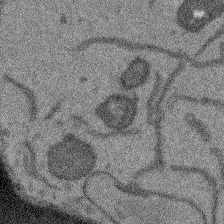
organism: Arabidopsis thaliana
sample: Root tip